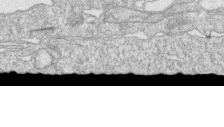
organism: Human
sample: HeLa cell HIV synapse